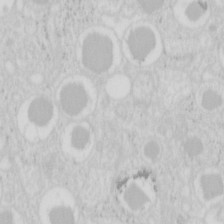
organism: Mouse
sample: Pancreas